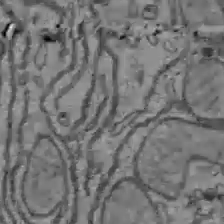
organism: C57BL Mouse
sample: Liver